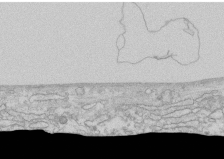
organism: Human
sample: CRL-1474